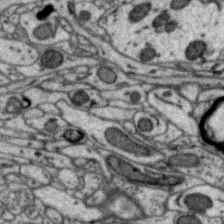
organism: Zebra finch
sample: Brain